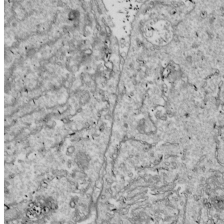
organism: Drosophila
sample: Cell division; meiosis; drosophila spermatocytes